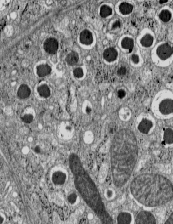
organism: C57BL Mouse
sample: Pancreatic islet